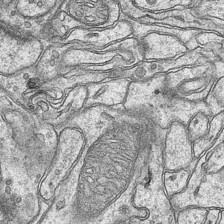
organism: Mouse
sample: CA1 Hippocampus